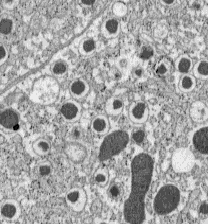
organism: C57BL Mouse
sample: Pancreatic islet